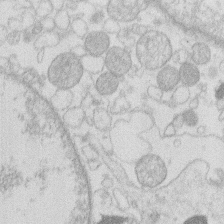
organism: Human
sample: Macrophage cells